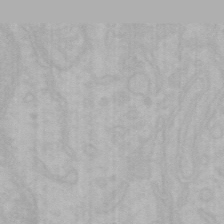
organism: Mouse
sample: Choroid plexus